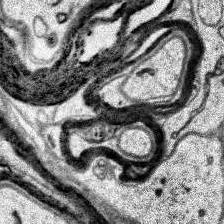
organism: Human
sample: Temporal Lobe